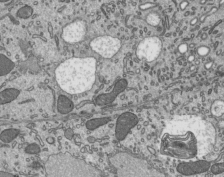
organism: Mouse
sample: Mouse epididymis efferent ductule cilia